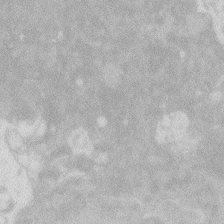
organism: Zebrafish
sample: Macrophage